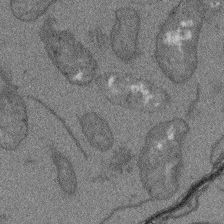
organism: Arabidopsis thaliana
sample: Root tip